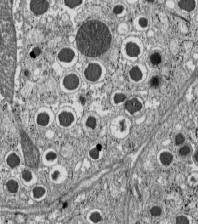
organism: C57BL Mouse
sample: Pancreatic islet